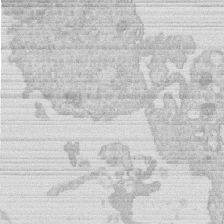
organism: Human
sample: Macrophage cells